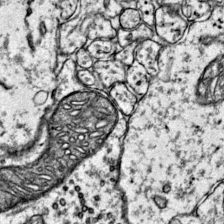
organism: Mouse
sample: Primary visual cortex